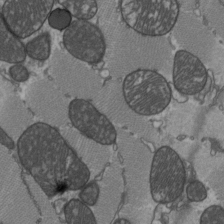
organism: C57BL Mouse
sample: Heart